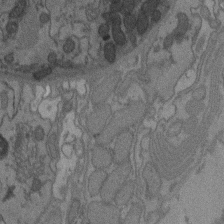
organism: C. elegans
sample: AFD neurons C. elegans